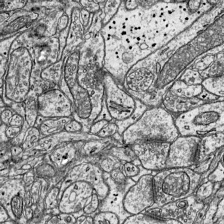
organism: Mouse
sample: Visual Cortex